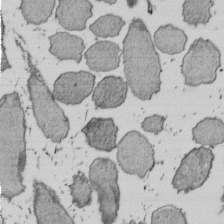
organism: E. coli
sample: Bacterial nucleoid